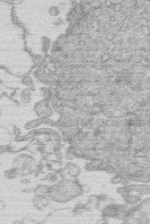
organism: Human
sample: Macrophage cells